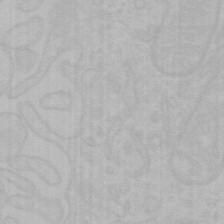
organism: Mouse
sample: Choroid plexus